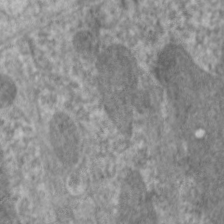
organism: C. elegans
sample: Pharynx